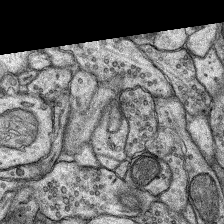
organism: Rat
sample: Hippocampus